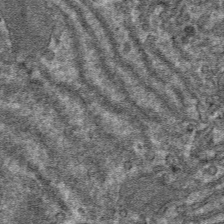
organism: Mouse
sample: Mouse hepatocytes